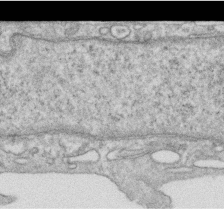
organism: Human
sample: Centriole in RPE cells